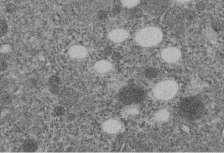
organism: C. elegans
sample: C. elegans embryo early stage